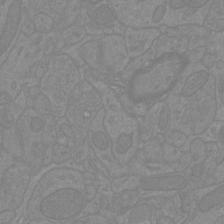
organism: Mouse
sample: Cortical neurons